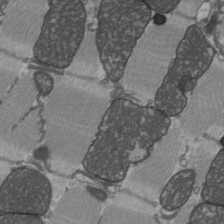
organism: C57BL Mouse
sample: Heart